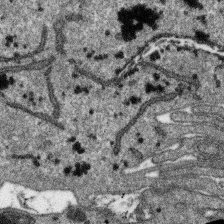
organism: Human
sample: Lung epithelial cells infected with SARS-CoV-2